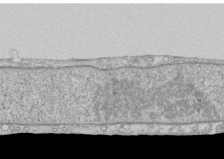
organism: Human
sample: CRL-1474